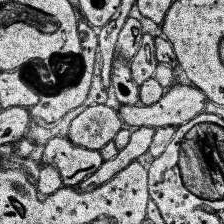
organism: Human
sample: Temporal Lobe